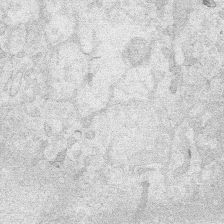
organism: Human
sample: Mitochondria in HCT116 cells